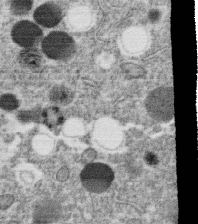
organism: C. elegans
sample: C. elegans oocyte; sperm cells